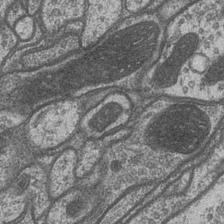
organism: Drosophila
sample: Optic medulla